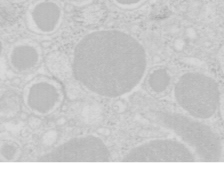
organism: Mouse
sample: Pancreas